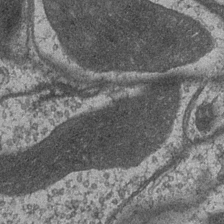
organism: Drosophila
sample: Optic medulla